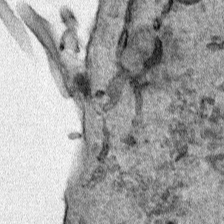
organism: Human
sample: Mitochondria in HCT116 cells